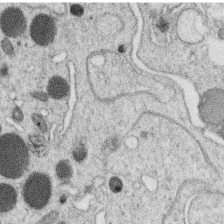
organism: C. elegans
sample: C. elegans oocyte; sperm cells